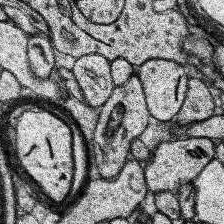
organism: Human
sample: Temporal Lobe